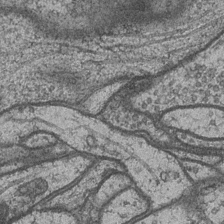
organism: Drosophila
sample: Optic medulla